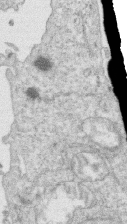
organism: Human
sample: HeLa cell HIV synapse